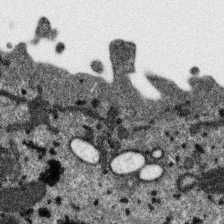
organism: Human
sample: Lung epithelial cells infected with SARS-CoV-2